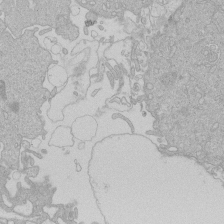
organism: Human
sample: Macrophage cells